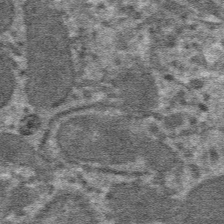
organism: Mouse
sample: Mouse hepatocytes